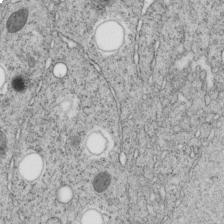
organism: C. elegans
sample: C. elegans embryo early stage